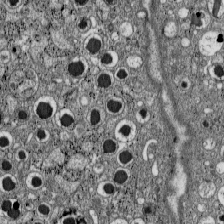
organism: C57BL Mouse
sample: Pancreatic islet